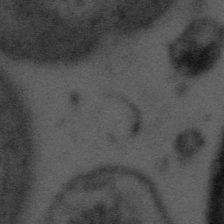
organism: Tuwongella immobilis